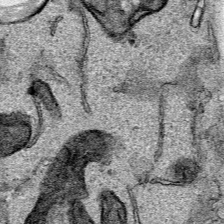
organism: Human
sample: Mitochondria in HCT116 cells